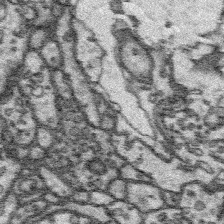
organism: Platynereis dumerilii